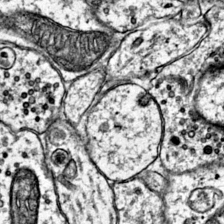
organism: Mouse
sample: Primary visual cortex